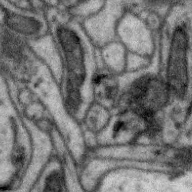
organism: Zebra finch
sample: Brain